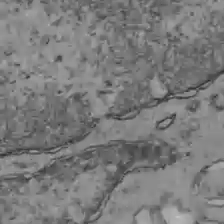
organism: C57BL Mouse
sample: Liver